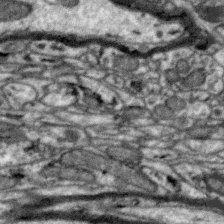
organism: Zebra finch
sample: Brain